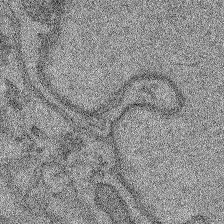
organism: Human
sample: HeLa cells